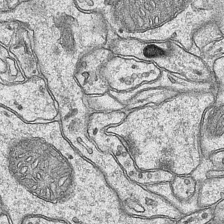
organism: Mouse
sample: CA1 Hippocampus